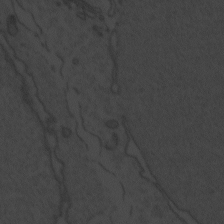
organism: Zebrafish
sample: Macrophage infected with Toxoplasma gondii